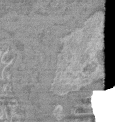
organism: Mouse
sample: Glomerulus